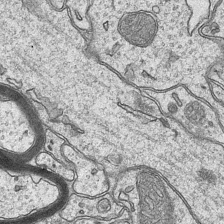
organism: Mouse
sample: CA1 Hippocampus